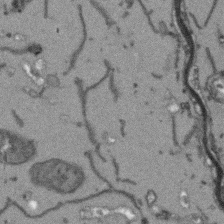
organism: Arabidopsis thaliana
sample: Root tip